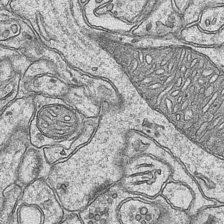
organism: Mouse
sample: CA1 Hippocampus